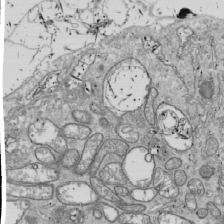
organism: Drosophila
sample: Cell division; meiosis; drosophila spermatocytes